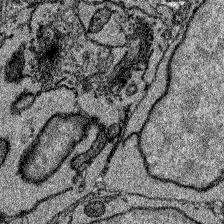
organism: Zebrafish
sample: Larval olfactory bulb